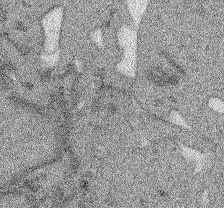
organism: Human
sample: HeLa cells